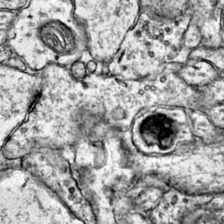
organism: Mouse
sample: Primary visual cortex